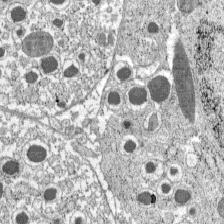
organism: C57BL Mouse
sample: Pancreatic islet